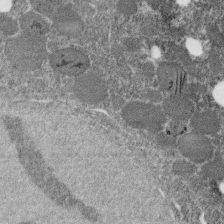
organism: C. elegans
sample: C. elegans embryo early stage